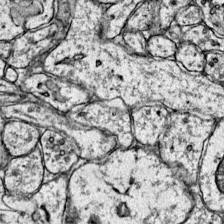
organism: Mouse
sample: Primary visual cortex